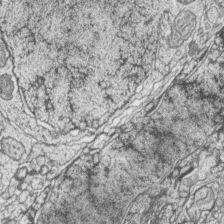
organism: Zebrafish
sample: synaptic ribbons in rod cells and cone cells